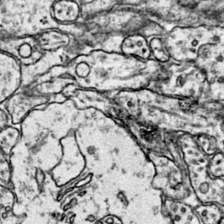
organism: Mouse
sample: Primary visual cortex